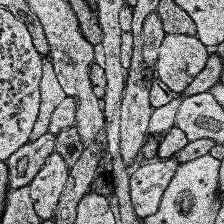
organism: Human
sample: Temporal Lobe